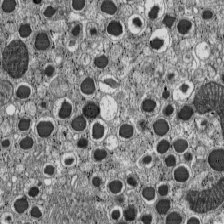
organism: C57BL Mouse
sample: Pancreatic islet